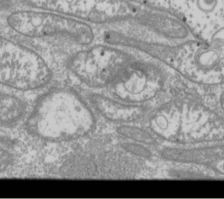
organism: Drosophila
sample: Cell division; meiosis; drosophila spermatocytes